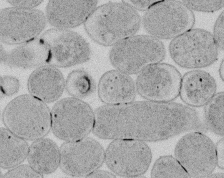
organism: E. coli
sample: Bacterial nucleoid